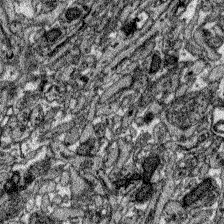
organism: Zebrafish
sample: Larval olfactory bulb